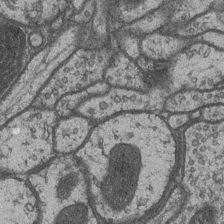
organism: Drosophila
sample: Optic medulla